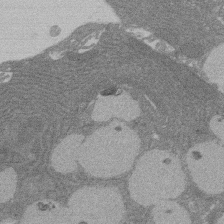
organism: Rat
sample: Salivary granule